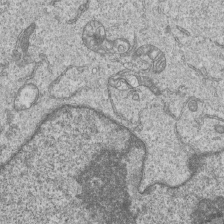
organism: Human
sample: MDA-MB-231 cells